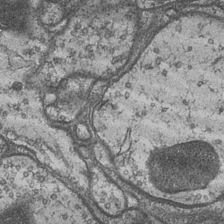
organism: Drosophila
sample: Optic medulla